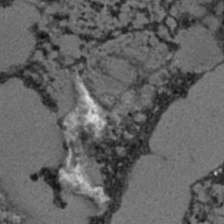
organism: C. elegans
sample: C. elegans embryo